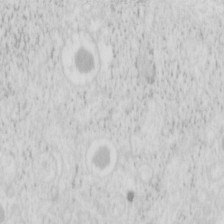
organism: Mouse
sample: Pancreas